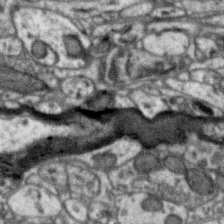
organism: Zebra finch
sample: Brain